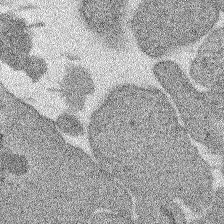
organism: Human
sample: HeLa cells